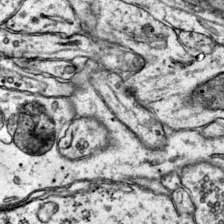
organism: Mouse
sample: Primary visual cortex